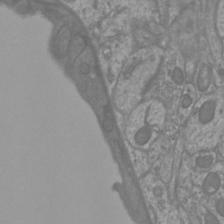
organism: Mouse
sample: Cortical neurons